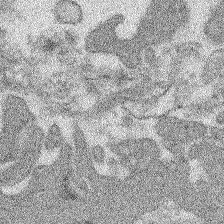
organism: Human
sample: HeLa cells